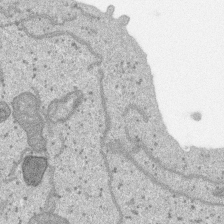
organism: Human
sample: Lung epithelial cells infected with SARS-CoV-2